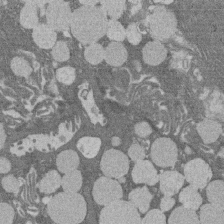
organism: Rat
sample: Salivary granule